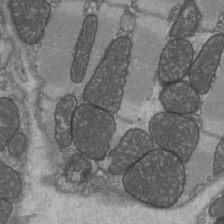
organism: C57BL Mouse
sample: Heart